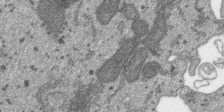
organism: Human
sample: Lung epithelial cells infected with SARS-CoV-2